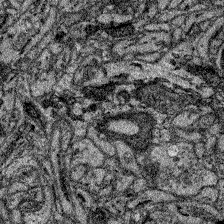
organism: Zebrafish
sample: Larval olfactory bulb